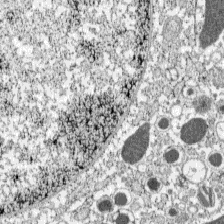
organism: C57BL Mouse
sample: Pancreatic islet